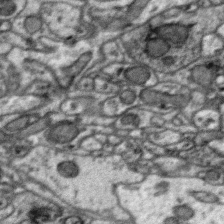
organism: Zebra finch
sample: Brain